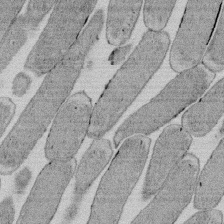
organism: E. coli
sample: Bacterial nucleoid